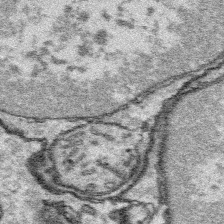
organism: Platynereis dumerilii